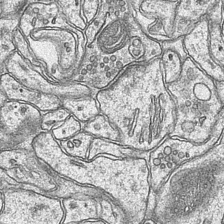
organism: Mouse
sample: CA1 Hippocampus